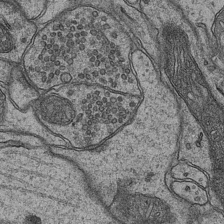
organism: Mouse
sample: CA1 Hippocampus